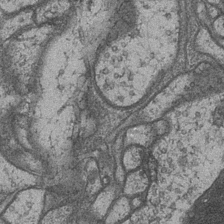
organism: Drosophila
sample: Optic medulla